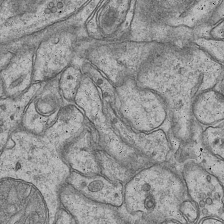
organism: Mouse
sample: CA1 Hippocampus